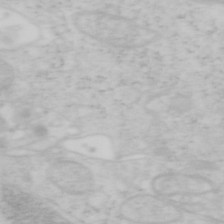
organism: Mouse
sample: OT-I killer T cells with ID8 ovarian cancer cells